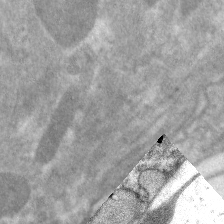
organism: C. elegans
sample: Pharynx